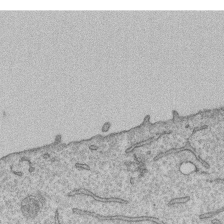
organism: Human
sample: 1205lu cells